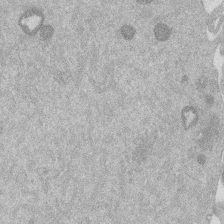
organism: Mouse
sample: Dividing mouse embryo 1 cell stage